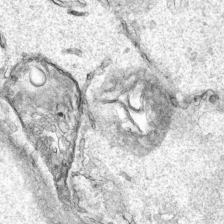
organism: Human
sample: Mitochondria in HCT116 cells